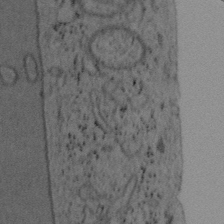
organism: Human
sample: HeLa cells